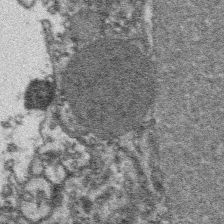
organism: Platynereis dumerilii